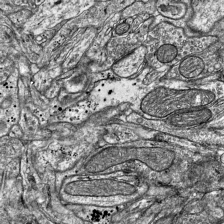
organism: Mouse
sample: Visual Cortex